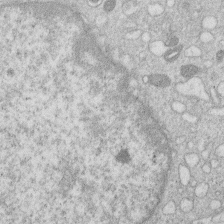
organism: Human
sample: Macrophage cells